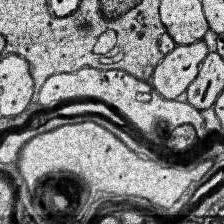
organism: Human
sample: Temporal Lobe